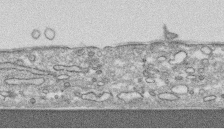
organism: Human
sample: CRL-1474